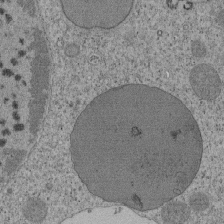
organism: Tetrahymena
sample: Cilia in tetrahymena